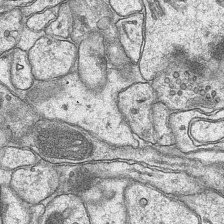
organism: Mouse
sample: CA1 Hippocampus